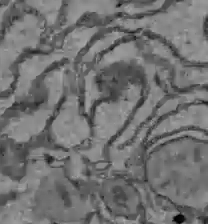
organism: C57BL Mouse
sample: Liver